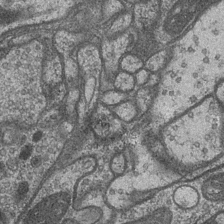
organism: Drosophila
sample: Optic medulla